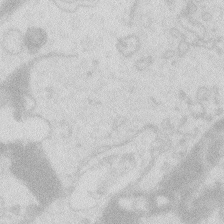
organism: Zebrafish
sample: Macrophage